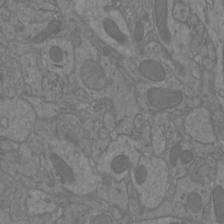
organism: Mouse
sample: Cortical neurons